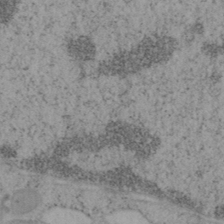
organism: Mouse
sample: OT-I killer T cells with ID8 ovarian cancer cells